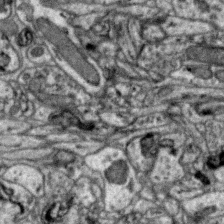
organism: Zebra finch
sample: Brain